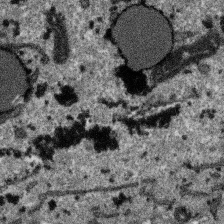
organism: Human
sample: Lung epithelial cells infected with SARS-CoV-2